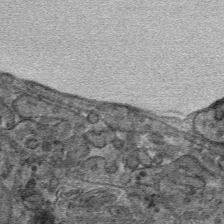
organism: Mouse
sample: Mouse hepatocytes